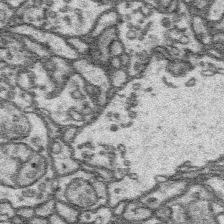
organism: Platynereis dumerilii